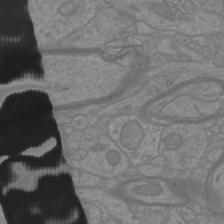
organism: Mouse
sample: Cortical neurons